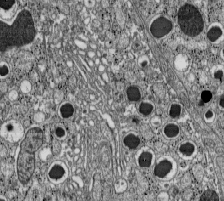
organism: C57BL Mouse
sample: Pancreatic islet